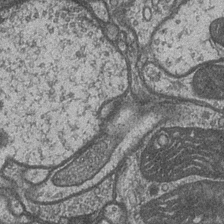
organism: Drosophila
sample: Optic medulla